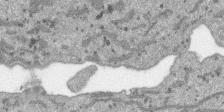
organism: Human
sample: Lung epithelial cells infected with SARS-CoV-2